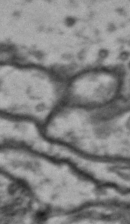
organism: Drosophila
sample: Brain